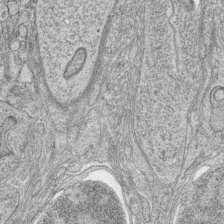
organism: Zebrafish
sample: synaptic ribbons in rod cells and cone cells